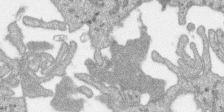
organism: Human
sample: Lung epithelial cells infected with SARS-CoV-2